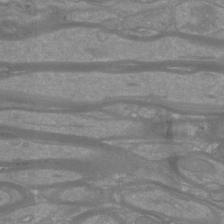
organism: Mouse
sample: Cortical neurons